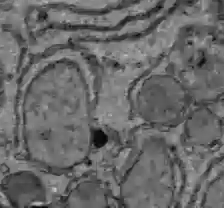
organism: C57BL Mouse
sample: Liver